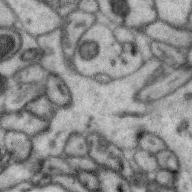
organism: Zebra finch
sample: Brain